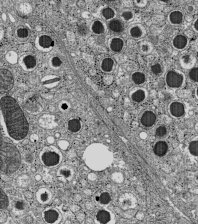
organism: C57BL Mouse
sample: Pancreatic islet